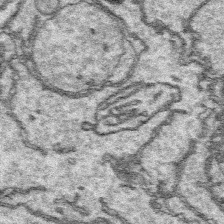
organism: Platynereis dumerilii